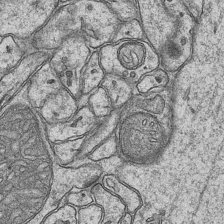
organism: Mouse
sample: CA1 Hippocampus